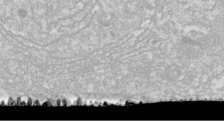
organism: Drosophila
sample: Cell division; meiosis; drosophila spermatocytes